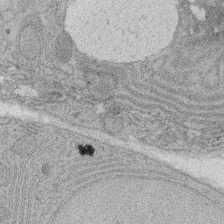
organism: Rat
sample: Salivary granule